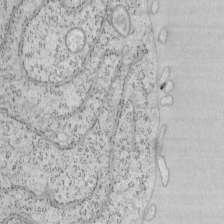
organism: Mouse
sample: OT-I killer T cells with ID8 ovarian cancer cells